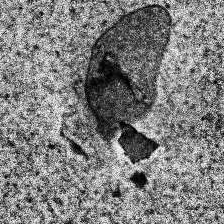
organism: Human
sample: Temporal Lobe